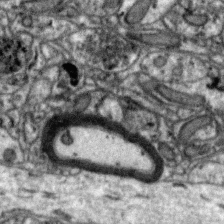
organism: Zebra finch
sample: Brain